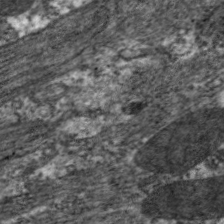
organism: C. elegans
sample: Pharynx